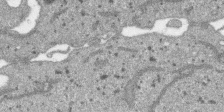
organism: Human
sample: Lung epithelial cells infected with SARS-CoV-2